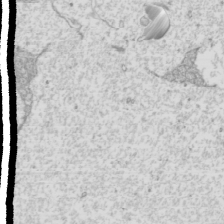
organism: Mouse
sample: Cilia; mouse epididymis